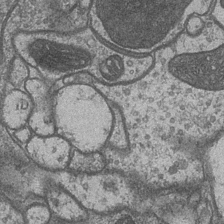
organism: Drosophila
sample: Optic medulla